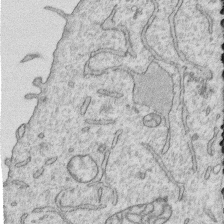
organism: Human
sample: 1205lu cells